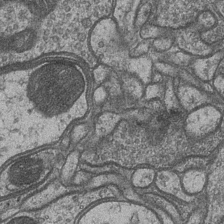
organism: Drosophila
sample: Optic medulla